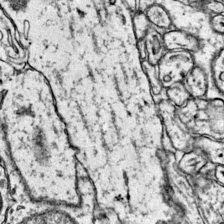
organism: Mouse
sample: Primary visual cortex